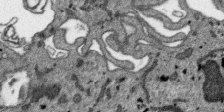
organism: Human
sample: Lung epithelial cells, uninfected (mock) control